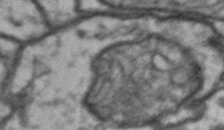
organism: Drosophila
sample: Brain